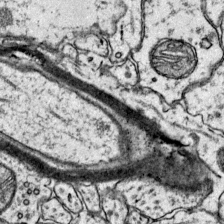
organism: Mouse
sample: Primary visual cortex